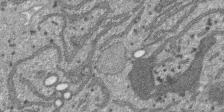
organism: Human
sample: Lung epithelial cells infected with SARS-CoV-2